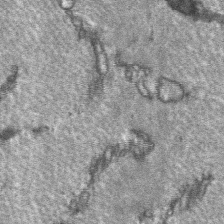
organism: C57BL Mouse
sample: Soleus